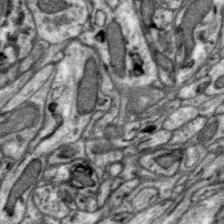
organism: Zebra finch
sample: Brain